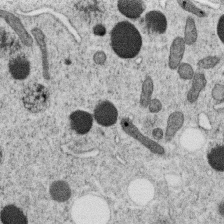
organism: C. elegans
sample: C. elegans oocyte; sperm cells